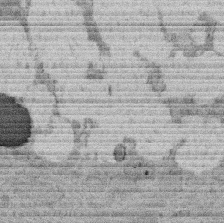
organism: Rat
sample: Salivary granule